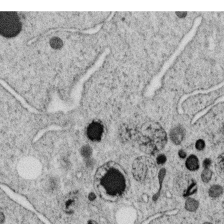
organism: C. elegans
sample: C. elegans oocyte; sperm cells